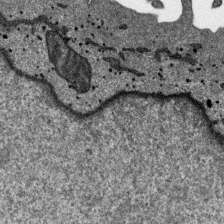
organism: Human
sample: Lung epithelial cells, uninfected (mock) control